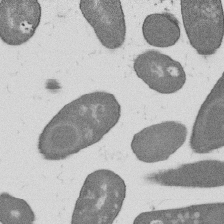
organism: B. subtilis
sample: Bacterial spore